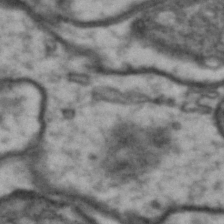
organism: Drosophila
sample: Brain